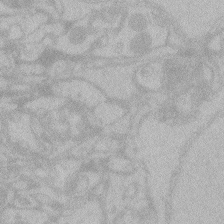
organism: Zebrafish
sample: Macrophage infected with Toxoplasma gondii